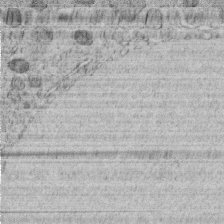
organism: C. elegans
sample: C. elegans embryo early stage